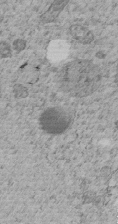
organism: C. elegans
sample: C. elegans embryo early stage